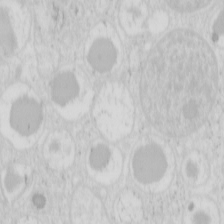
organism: Mouse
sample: Pancreas